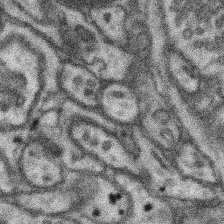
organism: Mouse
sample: Somatosensory cortex neuropil